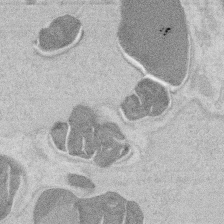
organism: Mouse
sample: T cell stromal cell synapse